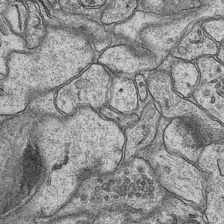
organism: Mouse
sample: CA1 Hippocampus